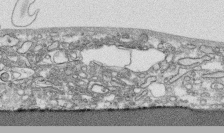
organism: Human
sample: CRL-1474